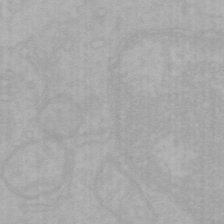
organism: Mouse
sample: Choroid plexus